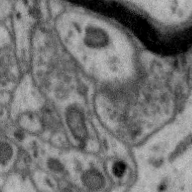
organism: Zebra finch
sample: Brain